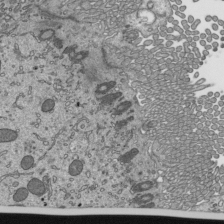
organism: Mouse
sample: Mouse epididymis efferent ductule cilia